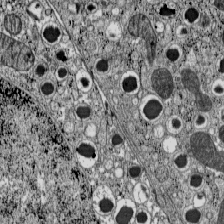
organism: C57BL Mouse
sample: Pancreatic islet